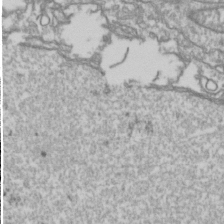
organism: Drosophila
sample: Cell division; meiosis; drosophila spermatocytes